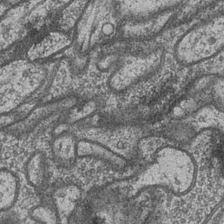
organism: Drosophila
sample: Optic medulla